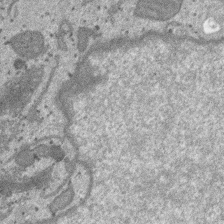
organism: Human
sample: Lung epithelial cells infected with SARS-CoV-2